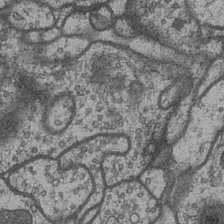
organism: Drosophila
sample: Optic medulla